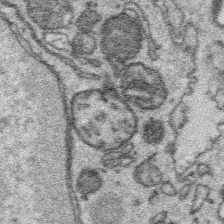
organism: Platynereis dumerilii